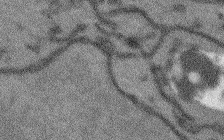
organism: Arabidopsis thaliana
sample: Root tip